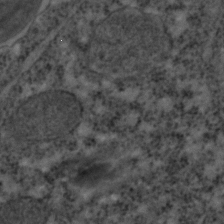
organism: C. elegans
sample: C. elegans embryo